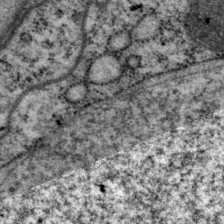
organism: P. pacificus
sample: Pharynx